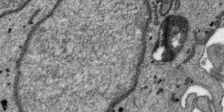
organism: Human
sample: Lung epithelial cells, uninfected (mock) control